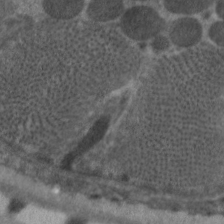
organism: C. elegans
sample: Pharynx